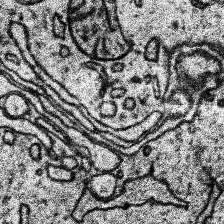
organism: Human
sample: Temporal Lobe